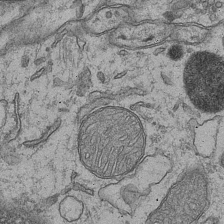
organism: Mouse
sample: CA1 Hippocampus